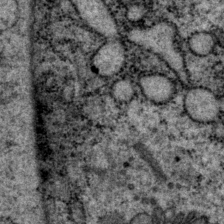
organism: P. pacificus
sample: Pharynx